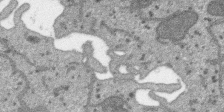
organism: Human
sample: Lung epithelial cells infected with SARS-CoV-2